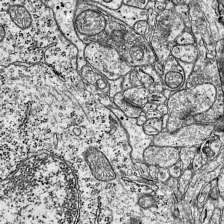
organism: Mouse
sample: Visual Cortex